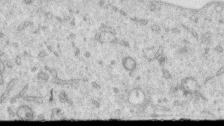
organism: Human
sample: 1205lu cells